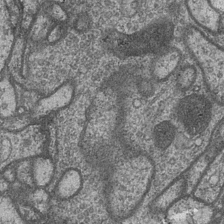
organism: Drosophila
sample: Optic medulla